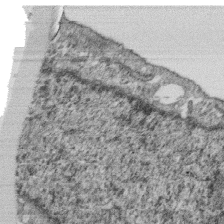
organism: African green monkey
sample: Vero E6 cells infected with SARS-CoV-2